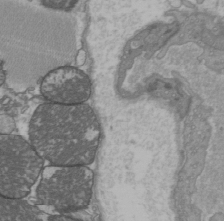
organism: C57BL Mouse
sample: Heart